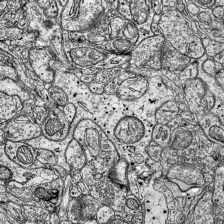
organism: Mouse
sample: Visual Cortex